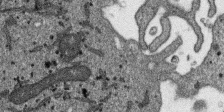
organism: Human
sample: Lung epithelial cells infected with SARS-CoV-2